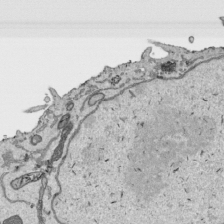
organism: Human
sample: Mitochondria in HCT116 cells